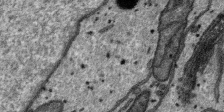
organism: Human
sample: Lung epithelial cells, uninfected (mock) control